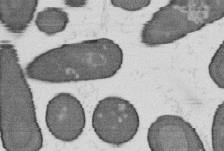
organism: B. subtilis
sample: Bacterial spore